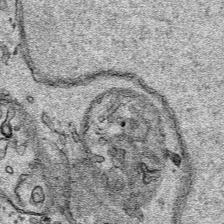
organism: Human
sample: Mitochondria in HCT116 cells